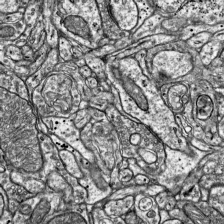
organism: Mouse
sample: Visual Cortex